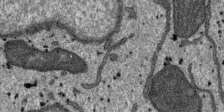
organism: Human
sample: Lung epithelial cells, uninfected (mock) control